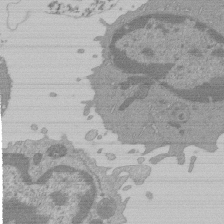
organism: Mouse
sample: Activated Pmel transgenic CD8+ T Cells